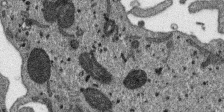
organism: Human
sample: Lung epithelial cells infected with SARS-CoV-2